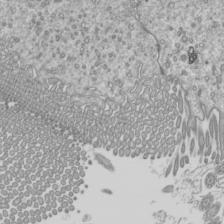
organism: Mouse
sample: Cilia; mouse epididymis